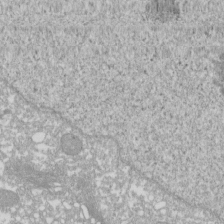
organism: Xenopus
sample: Cilia; centrioles in frog embryo cells